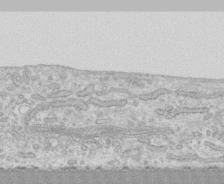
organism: Human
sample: CRL-1474